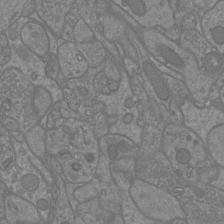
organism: Mouse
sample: Cortical neurons